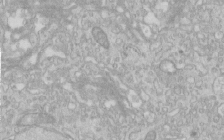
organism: Human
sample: Centriole in RPE cells